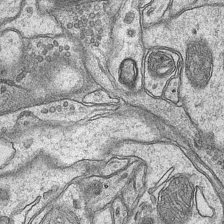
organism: Mouse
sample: CA1 Hippocampus